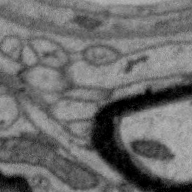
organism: Zebra finch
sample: Brain